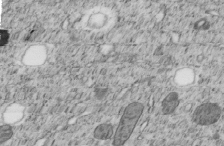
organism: C. elegans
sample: C. elegans embryo early stage